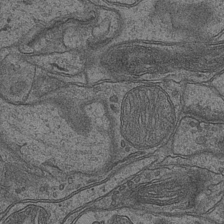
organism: Mouse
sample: CA1 Hippocampus